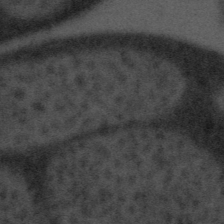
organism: Tuwongella immobilis